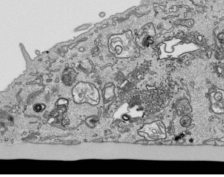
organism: Human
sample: Mitochondria in HCT116 cells